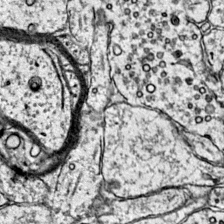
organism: Mouse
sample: Primary visual cortex